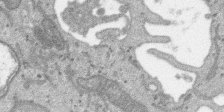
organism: Human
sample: Lung epithelial cells infected with SARS-CoV-2